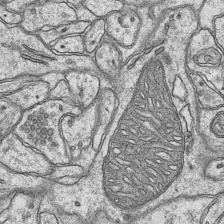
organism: Mouse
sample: CA1 Hippocampus